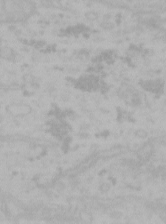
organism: Mouse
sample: Choroid plexus